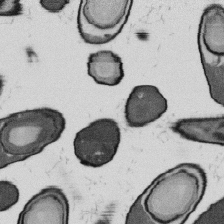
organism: B. subtilis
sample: Bacterial spore